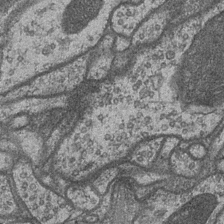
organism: Drosophila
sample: Optic medulla